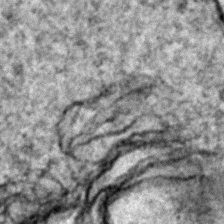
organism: Zebrafish